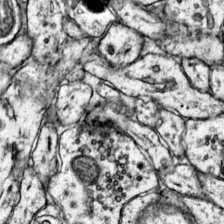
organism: Mouse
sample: Primary visual cortex